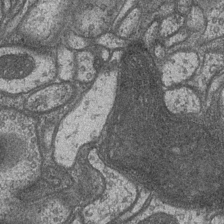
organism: Drosophila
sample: Optic medulla